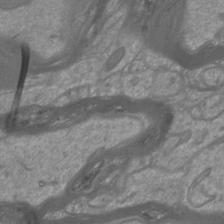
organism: Mouse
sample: Cortical neurons